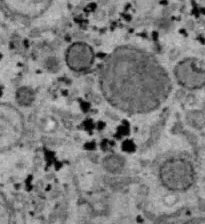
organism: Mouse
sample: Liver from an obese (ob/ob) mouse